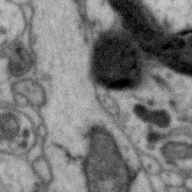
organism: Zebra finch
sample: Brain